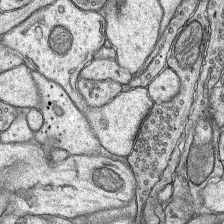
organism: Rat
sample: Hippocampus